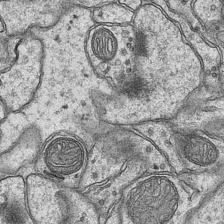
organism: Mouse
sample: CA1 Hippocampus